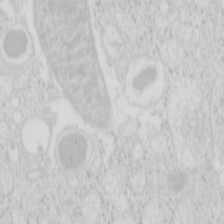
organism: Mouse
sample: Pancreas